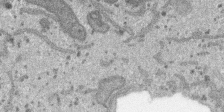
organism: Human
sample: Lung epithelial cells infected with SARS-CoV-2